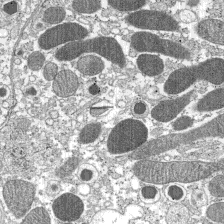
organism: C57BL Mouse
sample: Pancreatic islet